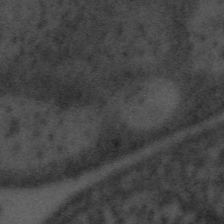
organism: Tuwongella immobilis